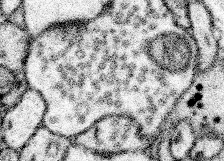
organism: Mouse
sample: Somatosensory cortex neuropil